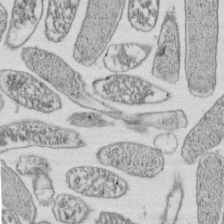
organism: E. coli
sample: Bacterial nucleoid